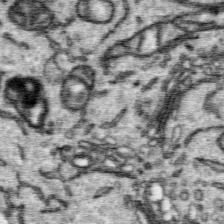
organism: Human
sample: HeLa cells